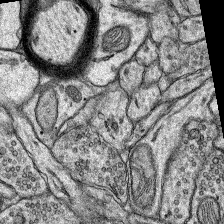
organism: Rat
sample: Hippocampus